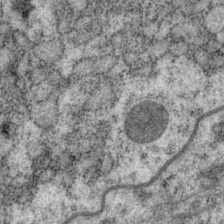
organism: P. pacificus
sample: Pharynx